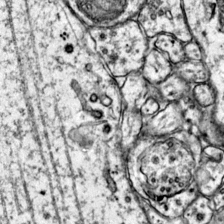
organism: Mouse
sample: Primary visual cortex